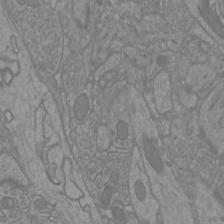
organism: Mouse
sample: Cortical neurons